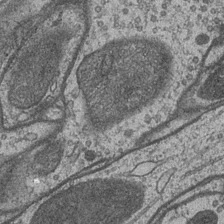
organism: Drosophila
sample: Optic medulla